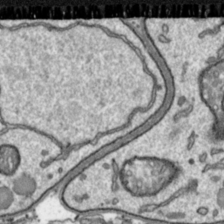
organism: Toxoplasma gondii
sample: Parasites in a vacuole inside a host cell